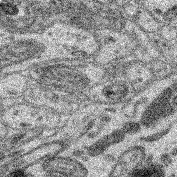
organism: Mouse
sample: Retina